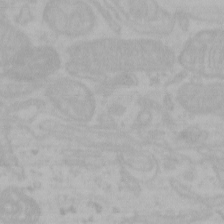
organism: Mouse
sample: Choroid plexus